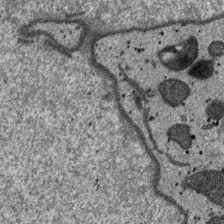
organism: Human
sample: Lung epithelial cells, uninfected (mock) control